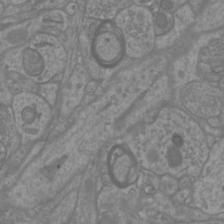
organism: Mouse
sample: Cortical neurons